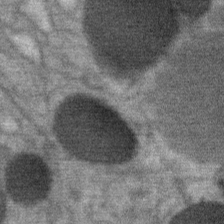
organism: Mouse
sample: Mouse Salivary gland